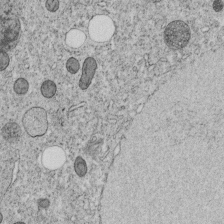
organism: C. elegans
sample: C. elegans embryo early stage